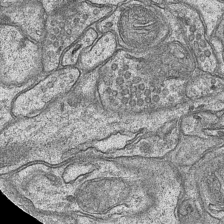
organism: Mouse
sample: CA1 Hippocampus